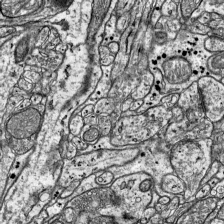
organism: Mouse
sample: Visual Cortex